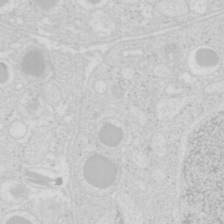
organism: Mouse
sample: Pancreas